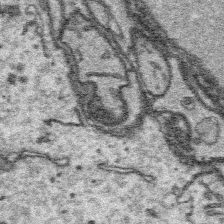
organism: Platynereis dumerilii